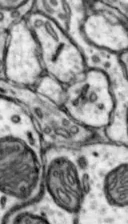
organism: Mouse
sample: Nucleus accumbens